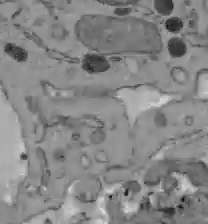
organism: C57BL Mouse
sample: Liver